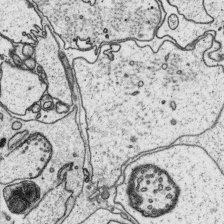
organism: Platynereis dumerilii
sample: Parapodia